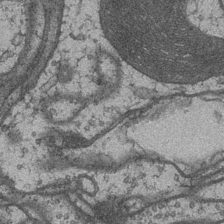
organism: Drosophila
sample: Optic medulla